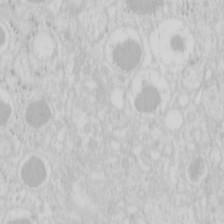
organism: Mouse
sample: Pancreas